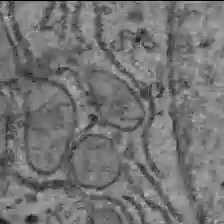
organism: C57BL Mouse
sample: Liver